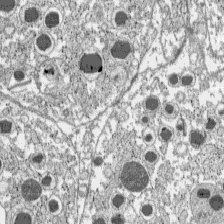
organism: C57BL Mouse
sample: Pancreatic islet